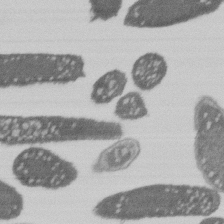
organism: E. coli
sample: Bacterial nucleoid